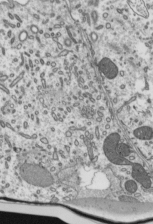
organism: Mouse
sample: Mouse epididymis efferent ductule cilia